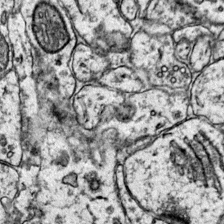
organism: Mouse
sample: Primary visual cortex